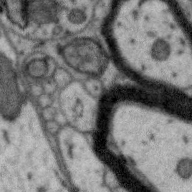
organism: Zebra finch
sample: Brain